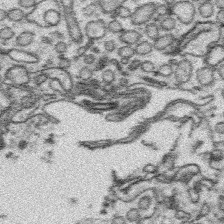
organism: Platynereis dumerilii